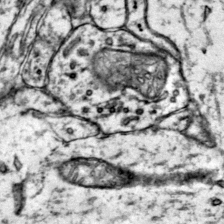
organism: Mouse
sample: Primary visual cortex